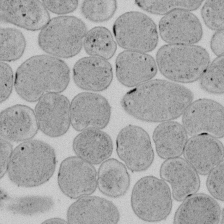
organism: E. coli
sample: Bacterial nucleoid